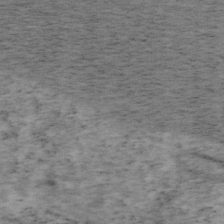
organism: Mouse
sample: OT-I killer T cells with ID8 ovarian cancer cells